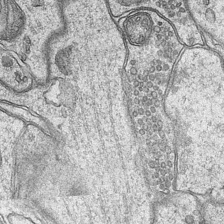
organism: Mouse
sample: CA1 Hippocampus